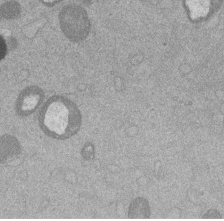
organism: Mouse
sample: Dividing mouse embryo 1 cell stage